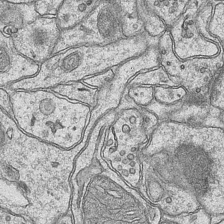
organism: Mouse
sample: CA1 Hippocampus